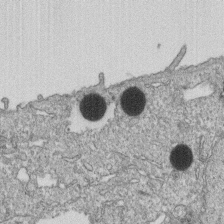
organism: Human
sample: HeLa cell HIV synapse